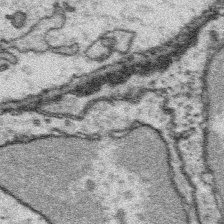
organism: Platynereis dumerilii